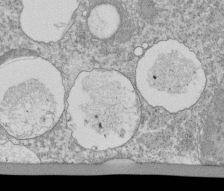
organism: Tetrahymena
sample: Cilia in tetrahymena